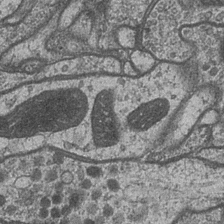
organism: Drosophila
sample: Optic medulla